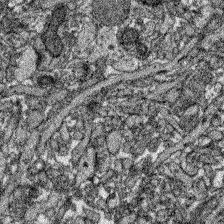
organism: Zebrafish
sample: Larval olfactory bulb